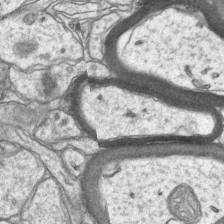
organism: Mouse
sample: CA1 Hippocampus